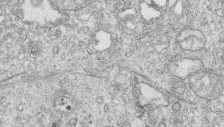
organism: Human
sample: HeLa cell HIV synapse